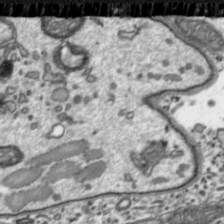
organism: Toxoplasma gondii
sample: Parasites in a vacuole inside a host cell